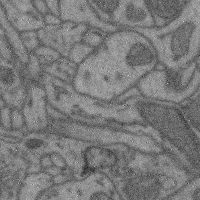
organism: Mouse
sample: Cerebral cortex